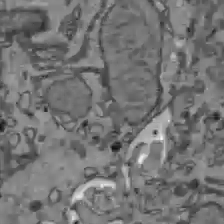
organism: C57BL Mouse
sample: Liver